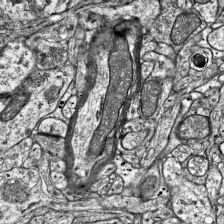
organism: Mouse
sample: Visual Cortex